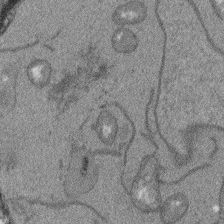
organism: Arabidopsis thaliana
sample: Root tip